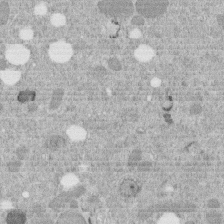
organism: C. elegans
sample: C. elegans embryo early stage